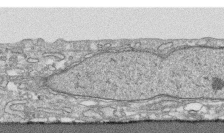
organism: Human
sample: CRL-1474